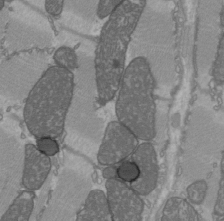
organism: C57BL Mouse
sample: Heart